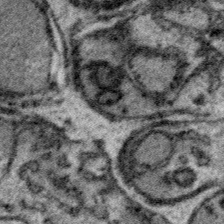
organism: Plasmodium falciparum